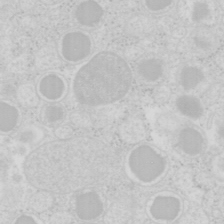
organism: Mouse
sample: Pancreas